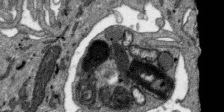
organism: Human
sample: Lung epithelial cells, uninfected (mock) control